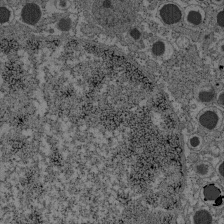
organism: C57BL Mouse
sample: Pancreatic islet